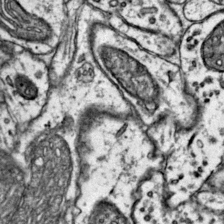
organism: Mouse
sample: Primary visual cortex